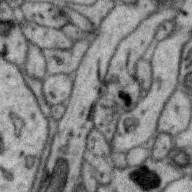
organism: Zebra finch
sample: Brain